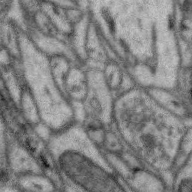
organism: Zebra finch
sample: Brain